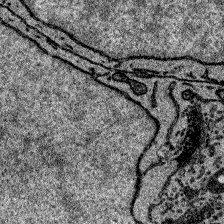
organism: Zebrafish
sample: Larval olfactory bulb